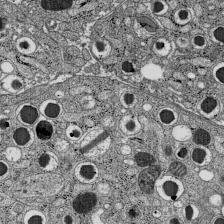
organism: C57BL Mouse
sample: Pancreatic islet